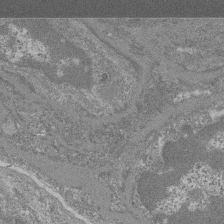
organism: Mouse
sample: Glomerulus